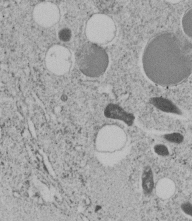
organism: C. elegans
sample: C. elegans embryo early stage